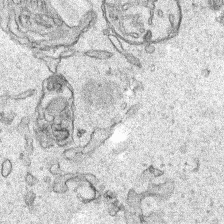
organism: Human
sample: Mitochondria in HCT116 cells